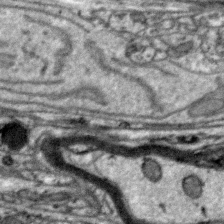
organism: Zebra finch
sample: Brain